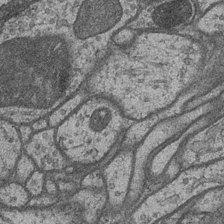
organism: Drosophila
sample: Optic medulla